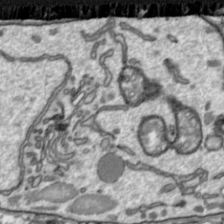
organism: Toxoplasma gondii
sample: Parasites in a vacuole inside a host cell